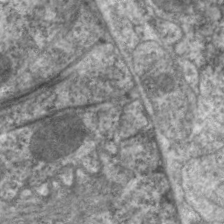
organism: C. elegans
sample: Pharynx